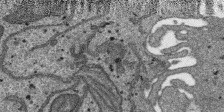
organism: Human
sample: Lung epithelial cells infected with SARS-CoV-2